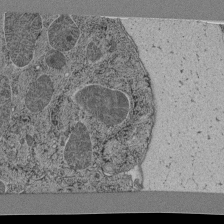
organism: C. elegans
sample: C. elegans pharynx